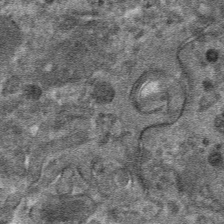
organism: Mouse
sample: Mouse hepatocytes